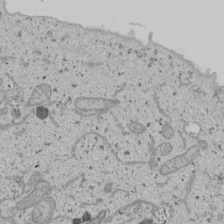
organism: Human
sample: Mitochondria in U2OS cells